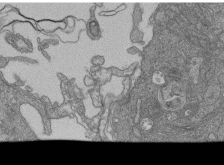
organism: Human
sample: Retinal organoid Rod and Cone cells